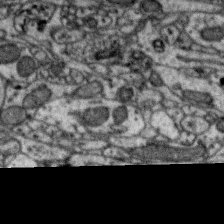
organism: Zebra finch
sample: Brain